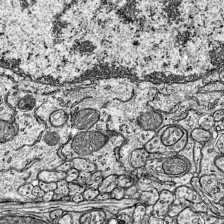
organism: Mouse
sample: Visual Cortex